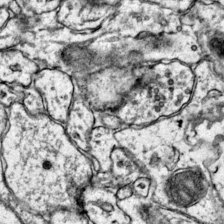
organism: Mouse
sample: Primary visual cortex